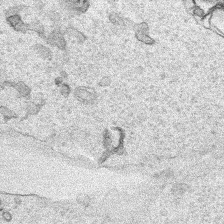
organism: Human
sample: Mitochondria in HCT116 cells